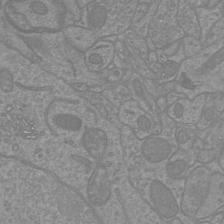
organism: Mouse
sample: Cortical neurons